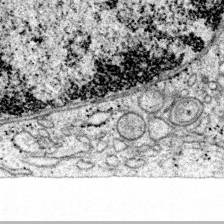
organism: Human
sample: HeLa cells